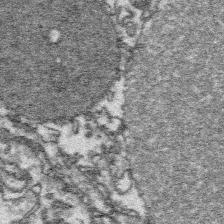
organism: Platynereis dumerilii